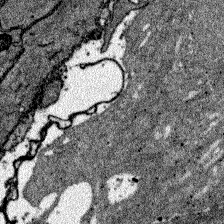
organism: Zebrafish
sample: Larval olfactory bulb